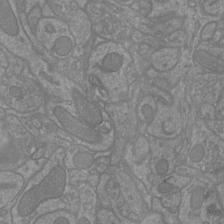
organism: Mouse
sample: Cortical neurons